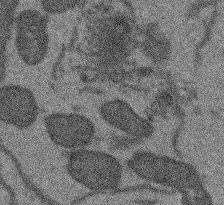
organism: Arabidopsis thaliana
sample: Root tip